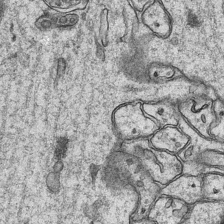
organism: Mouse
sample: CA1 Hippocampus